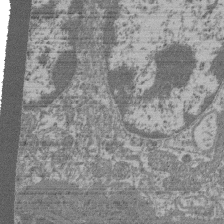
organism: Mouse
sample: Glomerulus